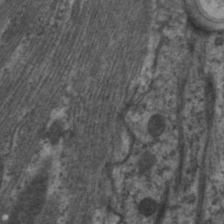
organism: C. elegans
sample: Pharynx